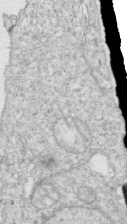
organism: Human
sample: HeLa cell HIV synapse